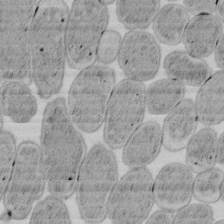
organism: E. coli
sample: Bacterial nucleoid